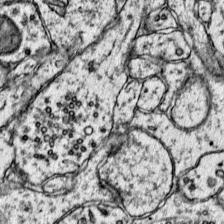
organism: Mouse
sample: Primary visual cortex